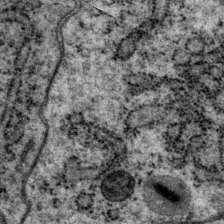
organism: P. pacificus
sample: Pharynx